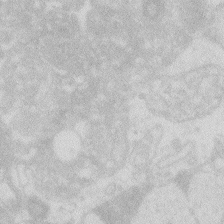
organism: Zebrafish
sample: Macrophage